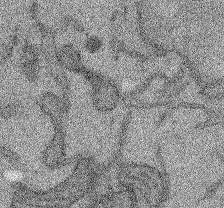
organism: Human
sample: HeLa cells